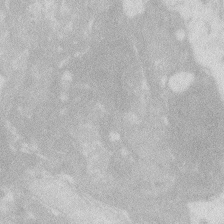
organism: Zebrafish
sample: Macrophage